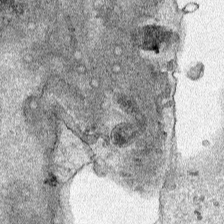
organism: Human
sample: Mitochondria in HCT116 cells